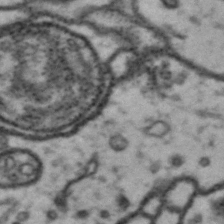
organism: Drosophila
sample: Brain